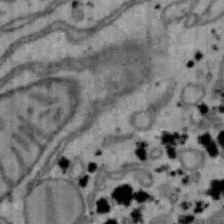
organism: Mouse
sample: Liver